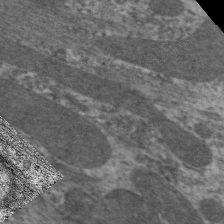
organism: C. elegans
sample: Pharynx